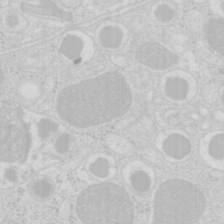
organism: Mouse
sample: Pancreas